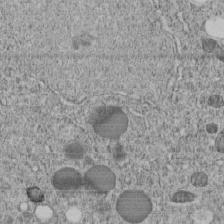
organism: C. elegans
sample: C. elegans embryo early stage